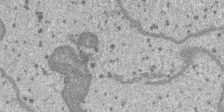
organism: Human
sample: Lung epithelial cells infected with SARS-CoV-2